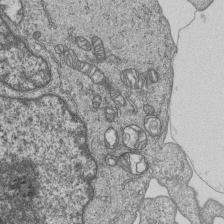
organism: Human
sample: MDA-MB-231 cells